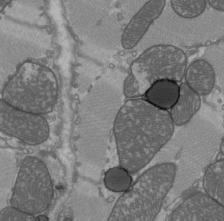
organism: C57BL Mouse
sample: Heart